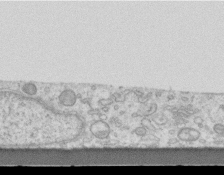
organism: Mouse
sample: Centriole in ependymal cells